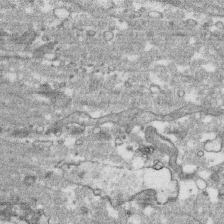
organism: Human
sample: CRL-1474